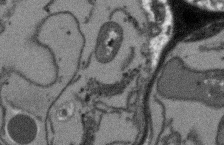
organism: Arabidopsis thaliana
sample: Root tip